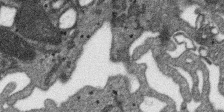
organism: Human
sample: Lung epithelial cells infected with SARS-CoV-2